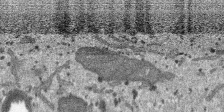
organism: Human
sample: Lung epithelial cells infected with SARS-CoV-2